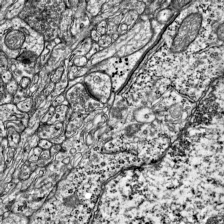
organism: Mouse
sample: Visual Cortex